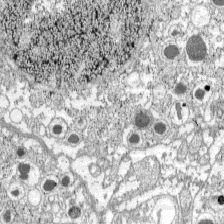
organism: C57BL Mouse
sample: Pancreatic islet